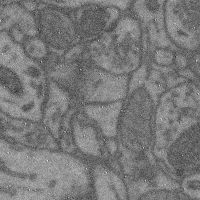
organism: Mouse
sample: Cerebral cortex